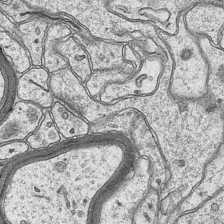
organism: Mouse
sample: CA1 Hippocampus